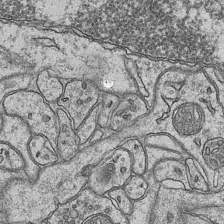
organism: Mouse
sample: CA1 Hippocampus